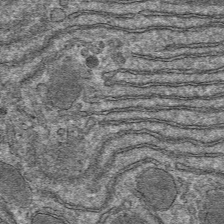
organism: Mouse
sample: Mouse hepatocytes